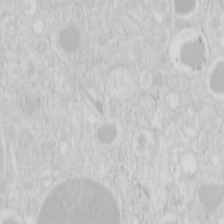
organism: Mouse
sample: Pancreas